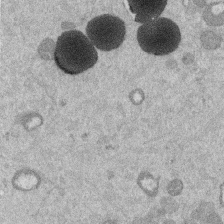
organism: Mouse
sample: Dividing mouse embryo 1 cell stage